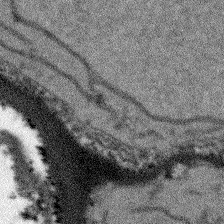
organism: Arabidopsis thaliana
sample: Root tip